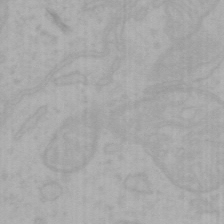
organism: Mouse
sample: Choroid plexus